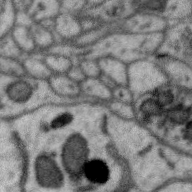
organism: Zebra finch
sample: Brain